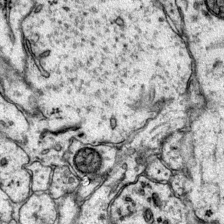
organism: Mouse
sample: Primary visual cortex